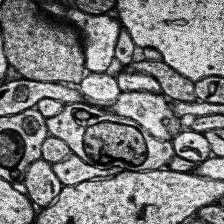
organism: Human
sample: Temporal Lobe